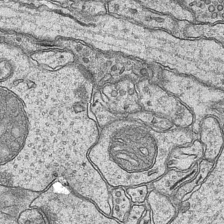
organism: Mouse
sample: CA1 Hippocampus